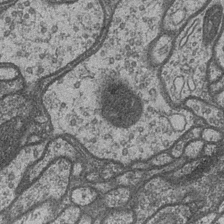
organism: Drosophila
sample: Optic medulla